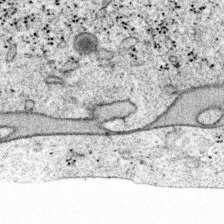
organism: Human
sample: HeLa cells